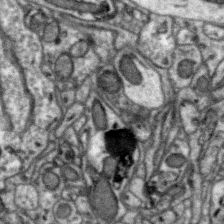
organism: Zebra finch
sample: Brain